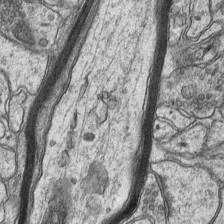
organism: Mouse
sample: CA1 Hippocampus